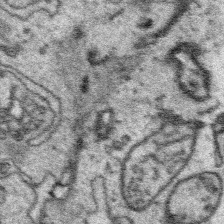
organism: Platynereis dumerilii